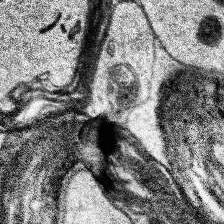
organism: Human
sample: Temporal Lobe